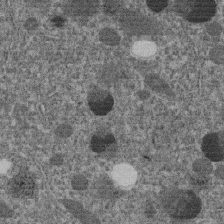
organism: C. elegans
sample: C. elegans embryo early stage